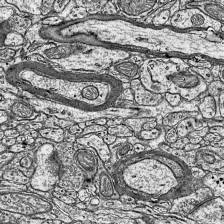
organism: Mouse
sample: Visual Cortex